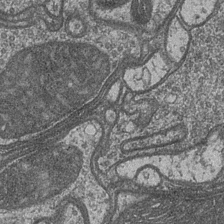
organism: Drosophila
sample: Optic medulla